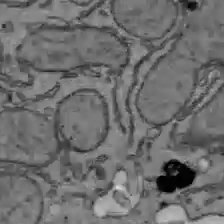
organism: C57BL Mouse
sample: Liver